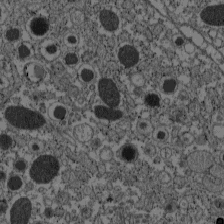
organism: C57BL Mouse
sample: Pancreatic islet